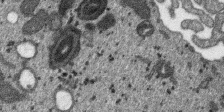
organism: Human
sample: Lung epithelial cells infected with SARS-CoV-2